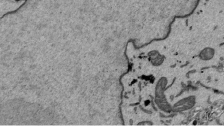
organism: Mouse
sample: ED-1 cell nuclei; centrioles